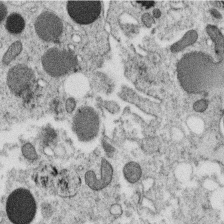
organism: C. elegans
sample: C. elegans oocyte; sperm cells